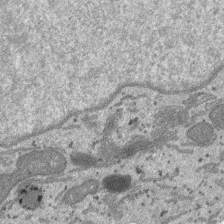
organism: Human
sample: Lung epithelial cells infected with SARS-CoV-2